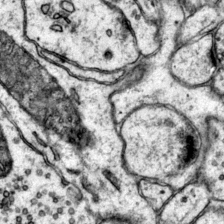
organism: Mouse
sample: Primary visual cortex